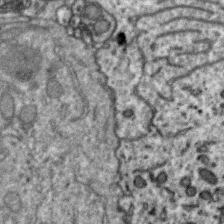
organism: Zebra finch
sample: Brain